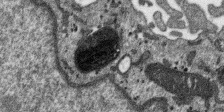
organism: Human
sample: Lung epithelial cells infected with SARS-CoV-2